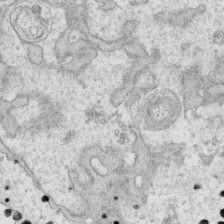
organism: Human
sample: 1205lu cells